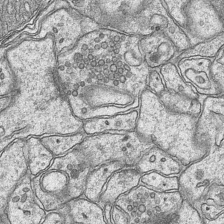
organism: Mouse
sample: CA1 Hippocampus